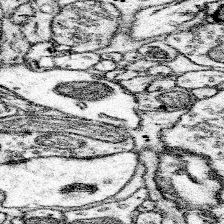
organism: Mouse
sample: Somatosensory cortex neuropil